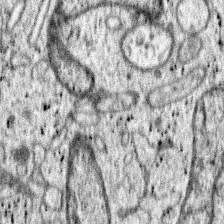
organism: Human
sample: HeLa cells